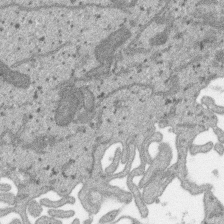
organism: Human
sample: Lung epithelial cells infected with SARS-CoV-2